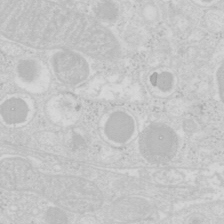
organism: Mouse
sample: Pancreas